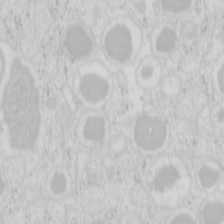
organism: Mouse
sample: Pancreas